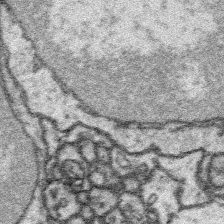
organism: Platynereis dumerilii